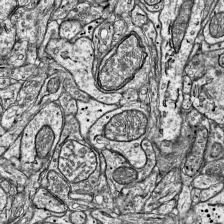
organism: Mouse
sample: Visual Cortex